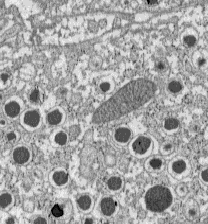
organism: C57BL Mouse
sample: Pancreatic islet